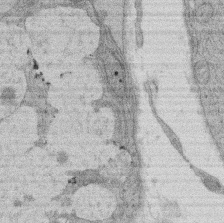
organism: Rat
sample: Salivary granule